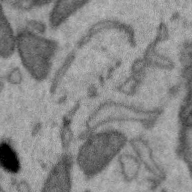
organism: Zebra finch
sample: Brain